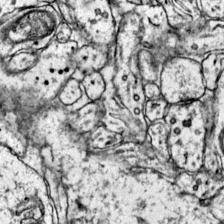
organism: Mouse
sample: Primary visual cortex